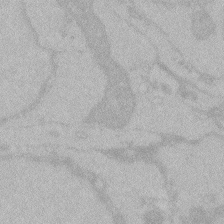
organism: Zebrafish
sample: Macrophage infected with Toxoplasma gondii